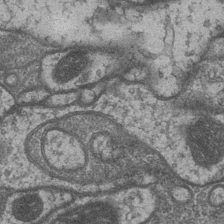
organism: Drosophila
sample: Optic medulla